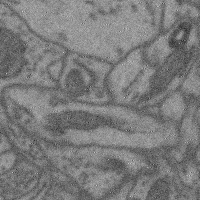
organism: Mouse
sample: Cerebral cortex